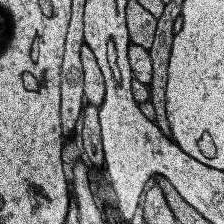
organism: Human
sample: Temporal Lobe